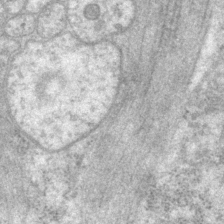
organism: P. pacificus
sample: Pharynx